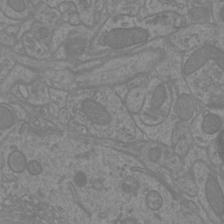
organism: Mouse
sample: Cortical neurons